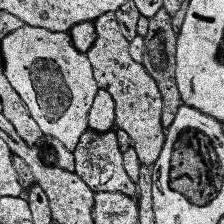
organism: Human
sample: Temporal Lobe